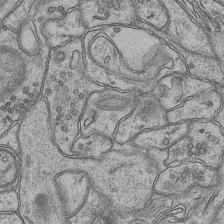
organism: Mouse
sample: CA1 Hippocampus